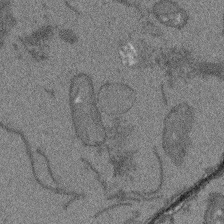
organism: Arabidopsis thaliana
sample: Root tip